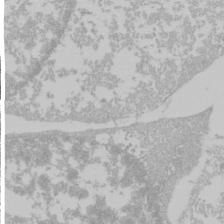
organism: Mouse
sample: Cancer cell death in ED-1 cells